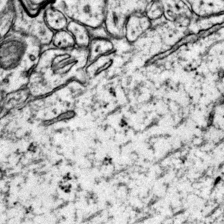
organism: Mouse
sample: Primary visual cortex